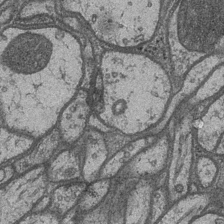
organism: Drosophila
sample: Optic medulla